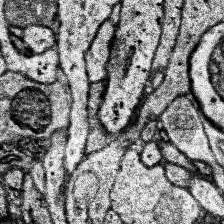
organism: Human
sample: Temporal Lobe